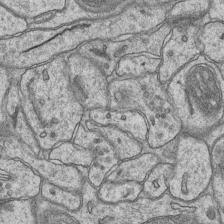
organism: Mouse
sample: CA1 Hippocampus